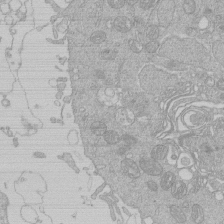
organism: Human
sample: Macrophage cells